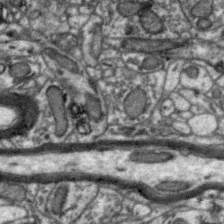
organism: Zebra finch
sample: Brain